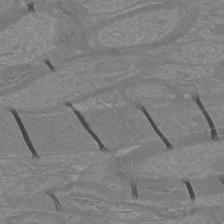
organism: Mouse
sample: Cortical neurons